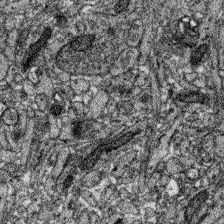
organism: Zebrafish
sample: Larval olfactory bulb